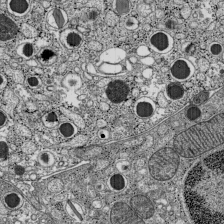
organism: C57BL Mouse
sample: Pancreatic islet